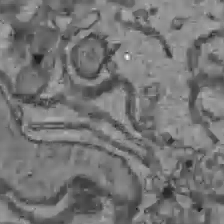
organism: C57BL Mouse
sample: Liver